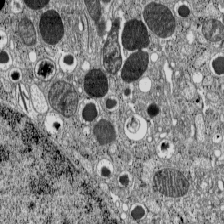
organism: C57BL Mouse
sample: Pancreatic islet